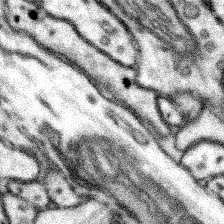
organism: Mouse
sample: Somatosensory cortex neuropil